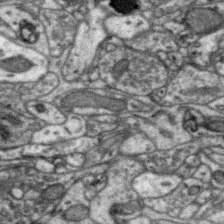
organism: Zebra finch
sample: Brain